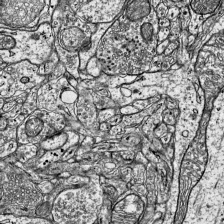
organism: Mouse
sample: Visual Cortex